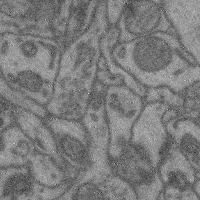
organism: Mouse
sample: Cerebral cortex